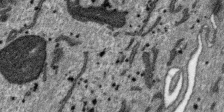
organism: Human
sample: Lung epithelial cells, uninfected (mock) control